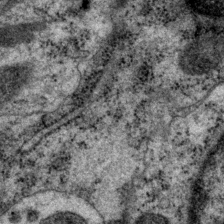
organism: P. pacificus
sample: Pharynx